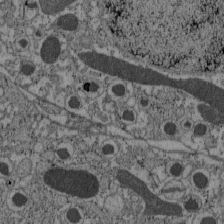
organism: C57BL Mouse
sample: Pancreatic islet